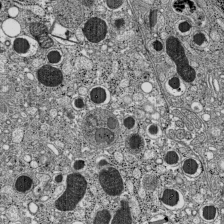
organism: C57BL Mouse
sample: Pancreatic islet